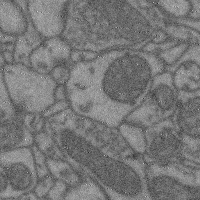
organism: Mouse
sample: Cerebral cortex